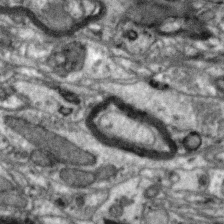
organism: Zebra finch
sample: Brain